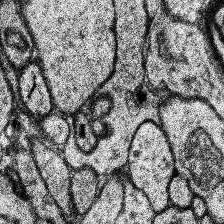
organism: Human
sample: Temporal Lobe